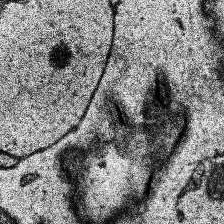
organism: Human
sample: Temporal Lobe